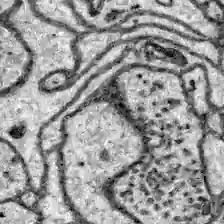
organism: Zebrafish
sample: Brain